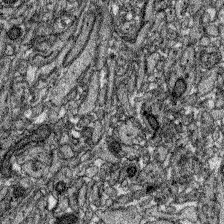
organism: Zebrafish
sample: Larval olfactory bulb